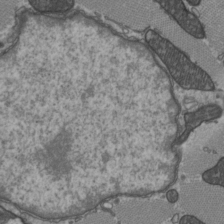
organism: C57BL Mouse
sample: Heart